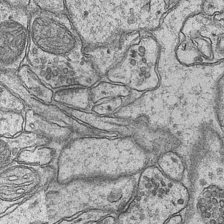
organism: Mouse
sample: CA1 Hippocampus